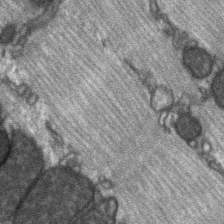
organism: C57BL Mouse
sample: Soleus